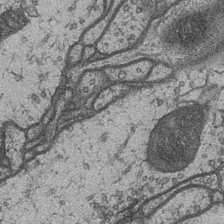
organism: Drosophila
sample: Optic medulla